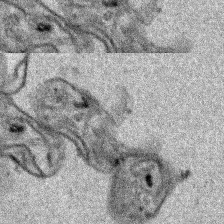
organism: Human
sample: Mitochondria in HCT116 cells